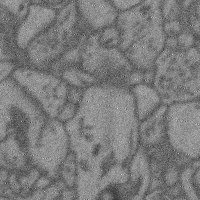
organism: Mouse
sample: Cerebral cortex